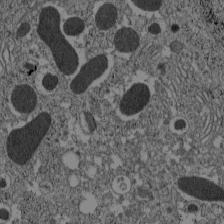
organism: C57BL Mouse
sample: Pancreatic islet